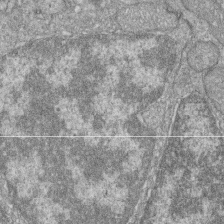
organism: Zebrafish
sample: Cilia; retinal pigment epithelium